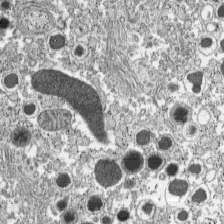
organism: C57BL Mouse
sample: Pancreatic islet